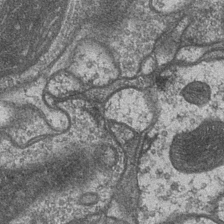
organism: Drosophila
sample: Optic medulla